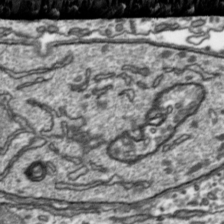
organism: Toxoplasma gondii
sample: Parasites in a vacuole inside a host cell